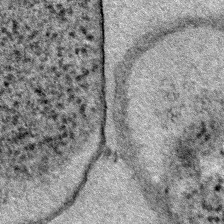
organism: E. coli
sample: E. Coli Bacteria